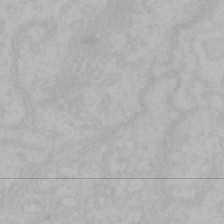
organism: Mouse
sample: Choroid plexus